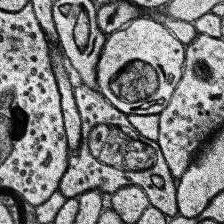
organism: Human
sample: Temporal Lobe